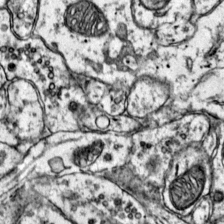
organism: Mouse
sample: Primary visual cortex